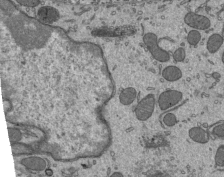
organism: Mouse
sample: Mouse epididymis efferent ductule cilia